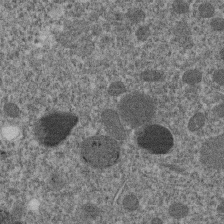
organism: C. elegans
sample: C. elegans embryo early stage